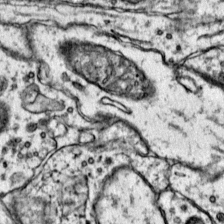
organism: Mouse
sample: Primary visual cortex